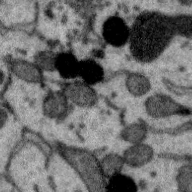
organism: Zebra finch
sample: Brain